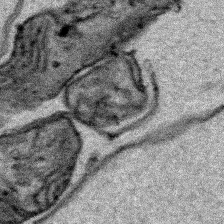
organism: Human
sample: Mitochondria in HCT116 cells